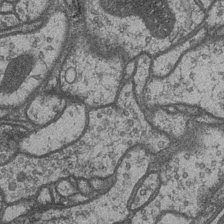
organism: Drosophila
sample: Optic medulla